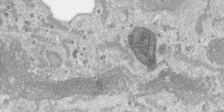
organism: Human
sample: Lung epithelial cells infected with SARS-CoV-2